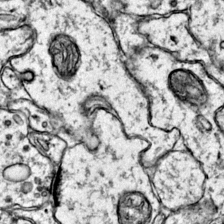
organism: Mouse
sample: Primary visual cortex